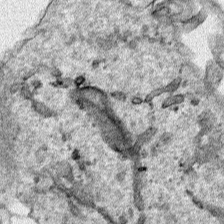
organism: Human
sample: Mitochondria in HCT116 cells